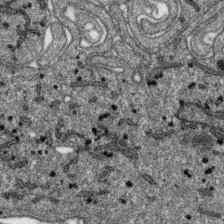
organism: Human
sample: Lung epithelial cells infected with SARS-CoV-2